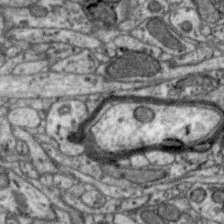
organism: Zebra finch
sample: Brain